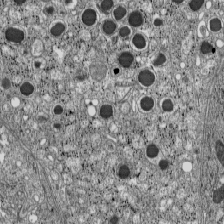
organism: C57BL Mouse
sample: Pancreatic islet